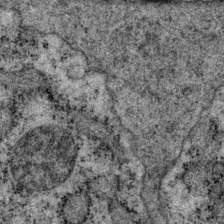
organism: P. pacificus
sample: Pharynx